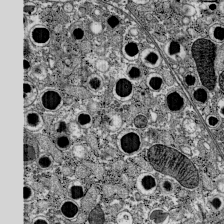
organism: C57BL Mouse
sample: Pancreatic islet